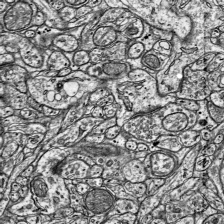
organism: Mouse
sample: Visual Cortex